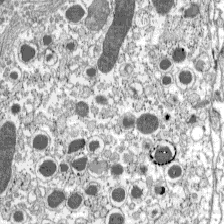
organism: C57BL Mouse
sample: Pancreatic islet